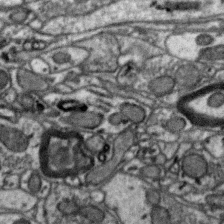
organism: Zebra finch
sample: Brain